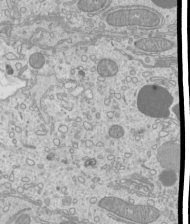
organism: Mouse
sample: Cilia; mouse epididymis